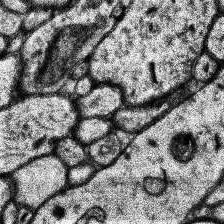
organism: Human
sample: Temporal Lobe